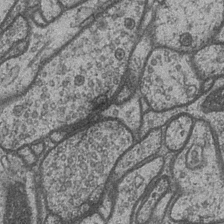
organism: Drosophila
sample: Optic medulla